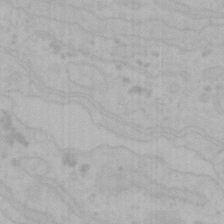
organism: Mouse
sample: Choroid plexus